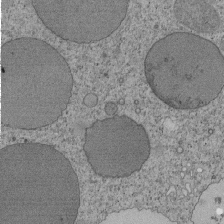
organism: Tetrahymena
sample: Cilia in tetrahymena